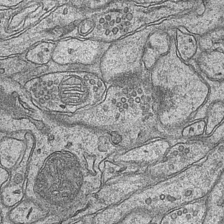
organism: Mouse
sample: CA1 Hippocampus